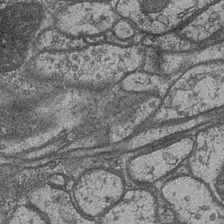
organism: Drosophila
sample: Optic medulla